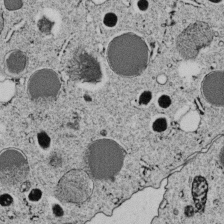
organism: C. elegans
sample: C. elegans embryo early stage